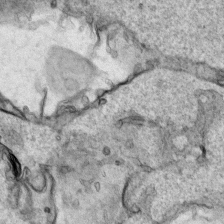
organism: Human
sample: Mitochondria in HCT116 cells